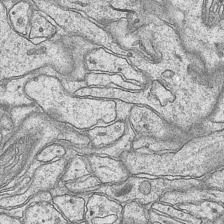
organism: Mouse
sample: CA1 Hippocampus